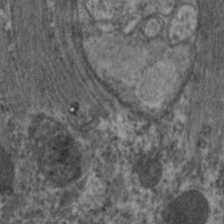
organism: C. elegans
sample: Pharynx